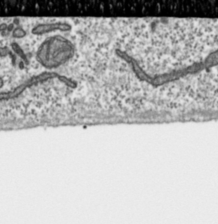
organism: Toxoplasma gondii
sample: Parasites in a vacuole inside a host cell